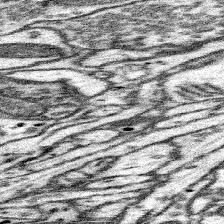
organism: Mouse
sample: Somatosensory cortex neuropil